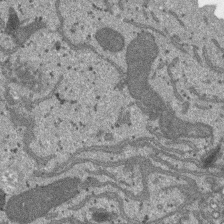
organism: Human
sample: Lung epithelial cells infected with SARS-CoV-2